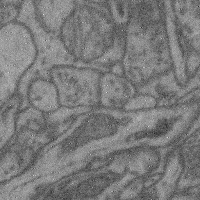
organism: Mouse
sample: Cerebral cortex